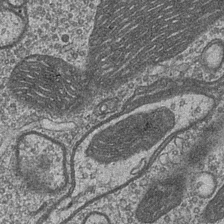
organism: Drosophila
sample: Optic medulla